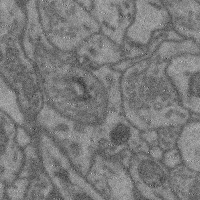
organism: Mouse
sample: Cerebral cortex